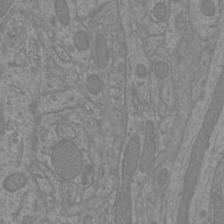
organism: Mouse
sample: Cortical neurons